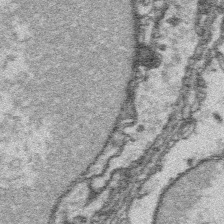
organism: Platynereis dumerilii